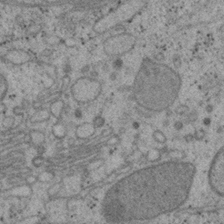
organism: Human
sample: HeLa cells